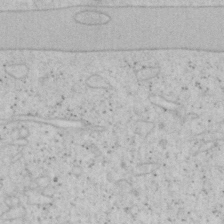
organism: Human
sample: HeLa cells